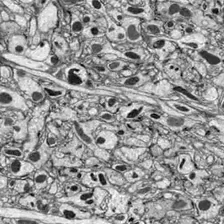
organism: Drosophila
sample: Optic lobe